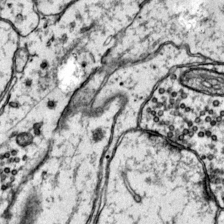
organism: Mouse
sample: Primary visual cortex